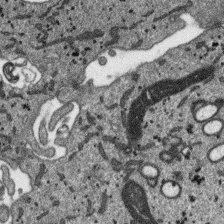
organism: Human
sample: Lung epithelial cells infected with SARS-CoV-2